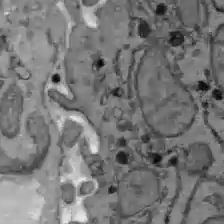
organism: C57BL Mouse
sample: Liver